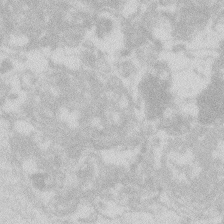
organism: Zebrafish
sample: Macrophage